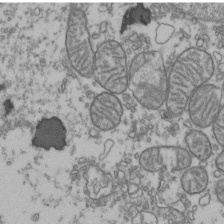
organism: Human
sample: Activated Jurkat CD4+ T cells